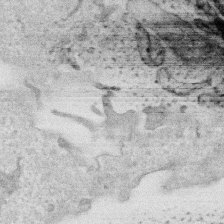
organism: Human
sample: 1205lu cells